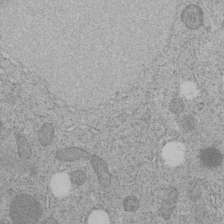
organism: C. elegans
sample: C. elegans embryo early stage